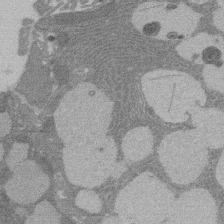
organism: Rat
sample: Salivary granule